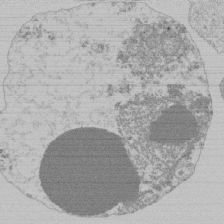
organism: Mouse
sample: Activated Pmel transgenic CD8+ T Cells